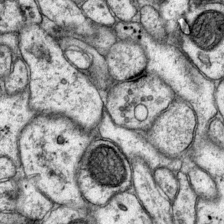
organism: Mouse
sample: Primary visual cortex